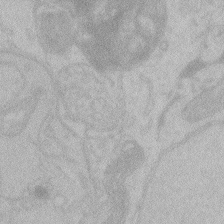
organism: Zebrafish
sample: Macrophage infected with Toxoplasma gondii